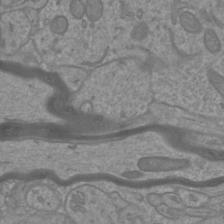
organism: Mouse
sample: Cortical neurons